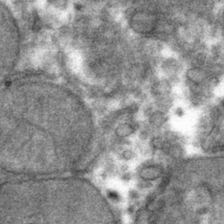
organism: Mouse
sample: Mouse hepatocytes